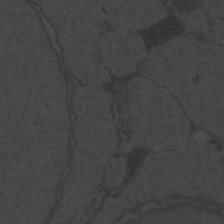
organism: Zebrafish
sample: Macrophage infected with Toxoplasma gondii